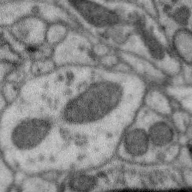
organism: Zebra finch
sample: Brain